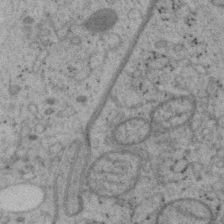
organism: Human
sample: HeLa cells